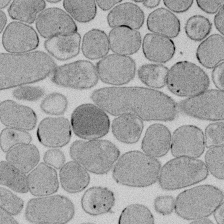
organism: E. coli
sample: Bacterial nucleoid